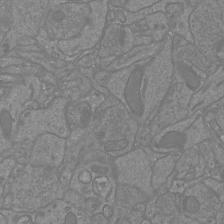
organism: Mouse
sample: Cortical neurons